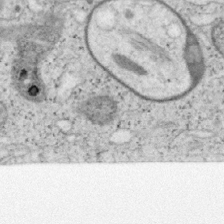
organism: Mouse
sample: OT-I killer T cells with ID8 ovarian cancer cells